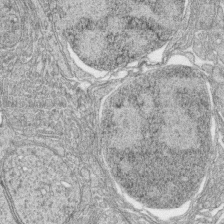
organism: Zebrafish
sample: synaptic ribbons in rod cells and cone cells